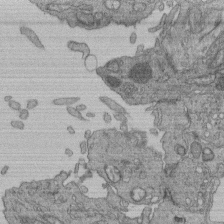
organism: Human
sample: Retinal organoid Rod and Cone cells